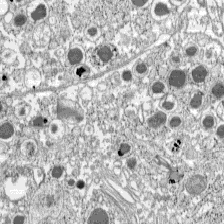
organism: C57BL Mouse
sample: Pancreatic islet